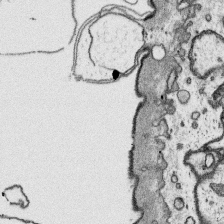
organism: Platynereis dumerilii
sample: Parapodia